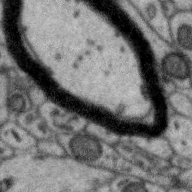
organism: Zebra finch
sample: Brain